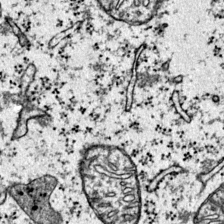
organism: Mouse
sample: Primary visual cortex